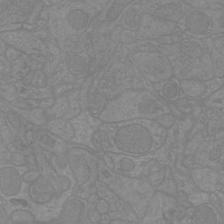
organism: Mouse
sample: Cortical neurons